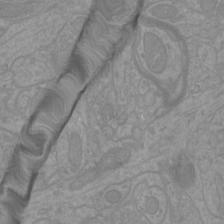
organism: Mouse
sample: Cortical neurons